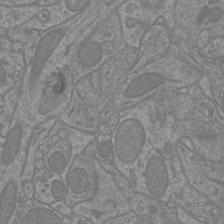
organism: Mouse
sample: Cortical neurons